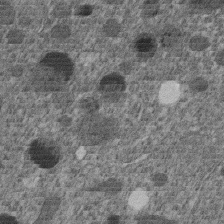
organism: C. elegans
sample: C. elegans embryo early stage